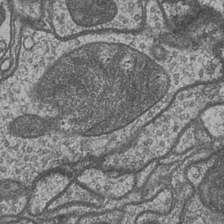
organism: Drosophila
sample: Optic medulla